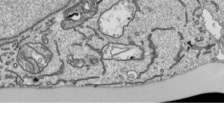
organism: Human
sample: Mitochondria in HCT116 cells